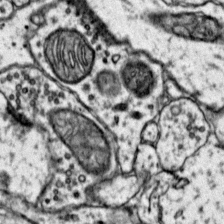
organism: Mouse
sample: Primary visual cortex